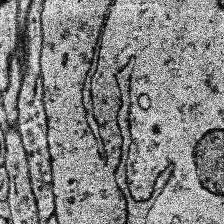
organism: Human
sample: Temporal Lobe